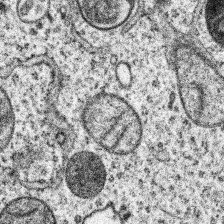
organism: Human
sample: HeLa cells